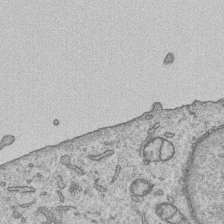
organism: Human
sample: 1205lu cells